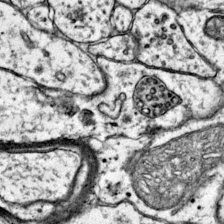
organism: Mouse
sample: Primary visual cortex